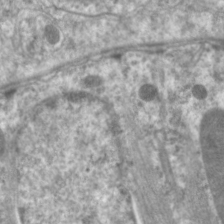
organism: C. elegans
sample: Pharynx